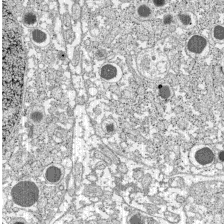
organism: C57BL Mouse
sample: Pancreatic islet